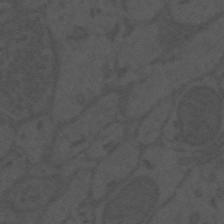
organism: Mouse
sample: Suprachiasmatic nucleus